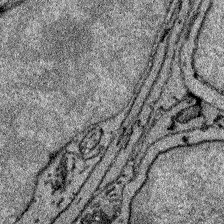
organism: Zebrafish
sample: Larval olfactory bulb